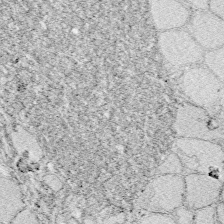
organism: Zebrafish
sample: Whole-Brain